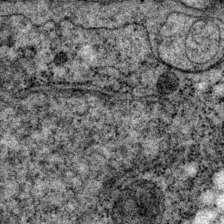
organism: P. pacificus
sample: Pharynx